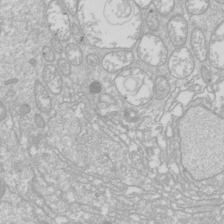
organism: Drosophila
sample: Cell division; meiosis; drosophila spermatocytes